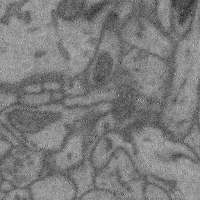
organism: Mouse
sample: Cerebral cortex